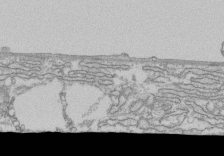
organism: Human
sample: Fibroblast cells